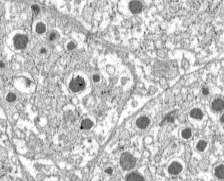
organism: C57BL Mouse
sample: Pancreatic islet